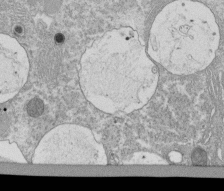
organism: Tetrahymena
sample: Cilia in tetrahymena